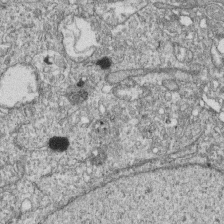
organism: Human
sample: HeLa cell HIV synapse